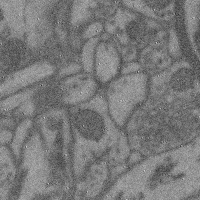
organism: Mouse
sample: Cerebral cortex